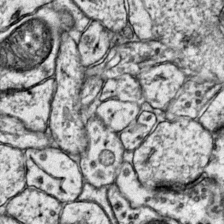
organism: Mouse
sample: Primary visual cortex